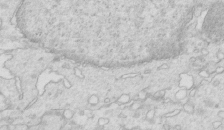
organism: Mouse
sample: Multiciliated cells